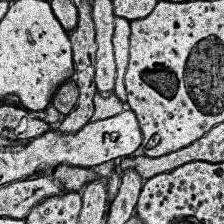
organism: Human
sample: Temporal Lobe